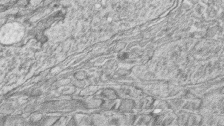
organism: Zebrafish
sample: synaptic ribbons in rod cells and cone cells